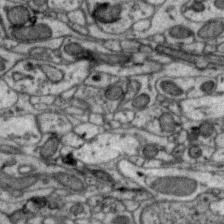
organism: Zebra finch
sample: Brain